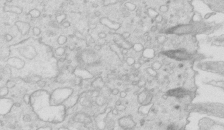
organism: Mouse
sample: Multiciliated cells